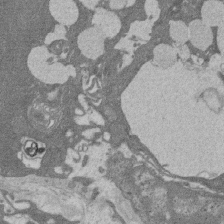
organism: Rat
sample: Salivary granule